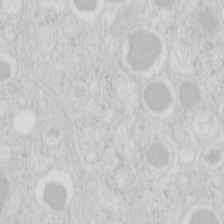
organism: Mouse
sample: Pancreas